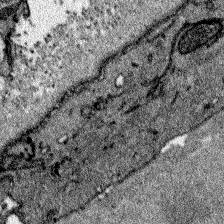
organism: Zebrafish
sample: Larval olfactory bulb